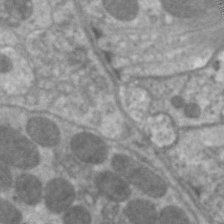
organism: C. elegans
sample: Pharynx